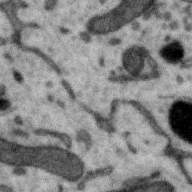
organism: Zebra finch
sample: Brain